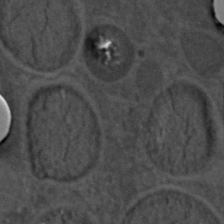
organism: C. elegans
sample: C. elegans embryo